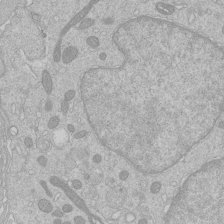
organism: Human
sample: Macrophage cells